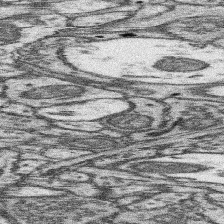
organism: Mouse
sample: Somatosensory cortex neuropil